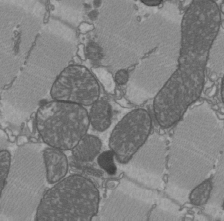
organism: C57BL Mouse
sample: Heart